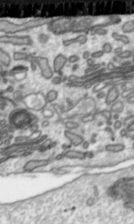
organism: Toxoplasma gondii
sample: Parasites in a vacuole inside a host cell